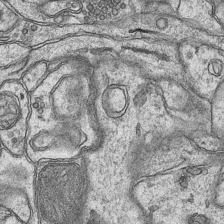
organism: Mouse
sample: CA1 Hippocampus